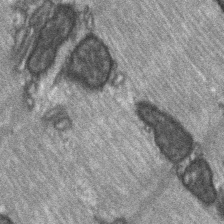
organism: C57BL Mouse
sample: Soleus